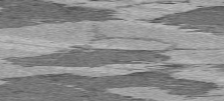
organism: C57BL Mouse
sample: Heart